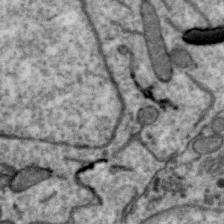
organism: Zebra finch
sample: Brain